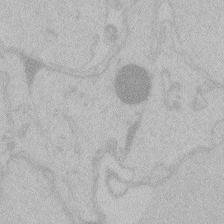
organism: Zebrafish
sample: Macrophage infected with Toxoplasma gondii